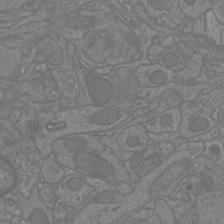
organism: Mouse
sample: Cortical neurons